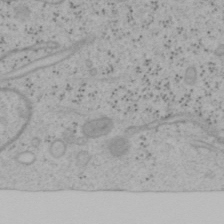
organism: Human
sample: HeLa cells